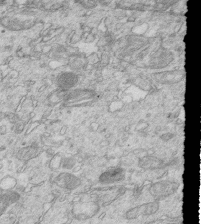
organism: Mouse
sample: Multiciliated cells